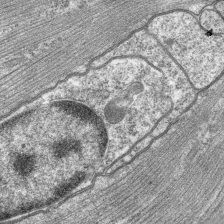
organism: C. elegans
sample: Pharynx